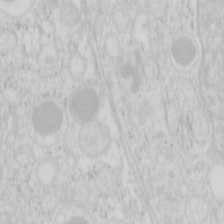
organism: Mouse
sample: Pancreas